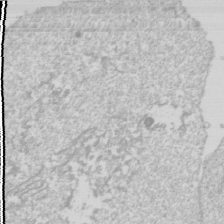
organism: Drosophila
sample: Cell division; meiosis; drosophila spermatocytes